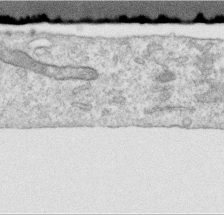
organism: Human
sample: Centriole in RPE cells